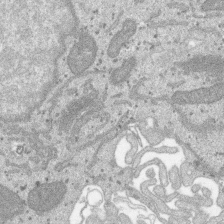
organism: Human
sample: Lung epithelial cells infected with SARS-CoV-2